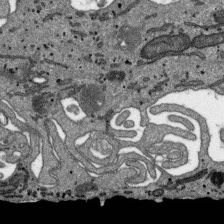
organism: Human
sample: Lung epithelial cells, uninfected (mock) control